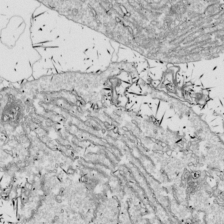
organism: Drosophila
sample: Cell division; meiosis; drosophila spermatocytes